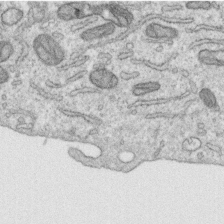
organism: Human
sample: Centriole in RPE cells